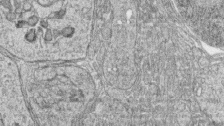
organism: Zebrafish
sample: synaptic ribbons in rod cells and cone cells